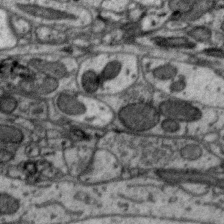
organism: Zebra finch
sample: Brain